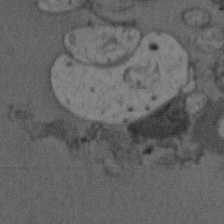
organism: Human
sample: HeLa cells